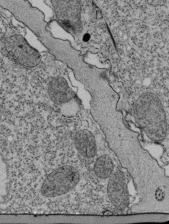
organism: Tetrahymena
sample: Cilia in tetrahymena